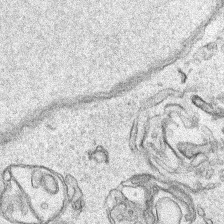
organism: Human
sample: Mitochondria in HCT116 cells